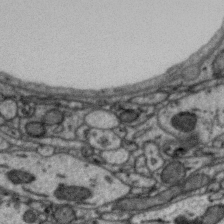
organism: Zebra finch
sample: Brain